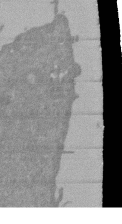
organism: Mouse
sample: ED-1 cell nuclei; centrioles